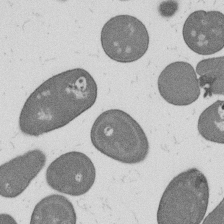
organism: B. subtilis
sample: Bacterial spore